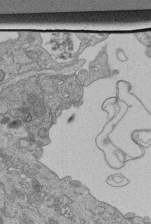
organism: Human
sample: Retinal organoid Rod and Cone cells